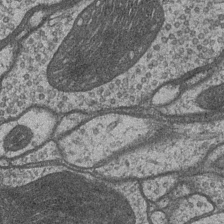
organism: Drosophila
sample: Optic medulla